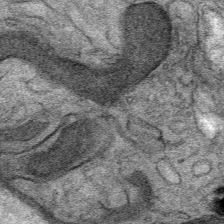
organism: Mouse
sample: Mouse Salivary gland